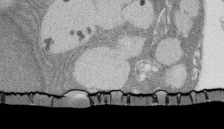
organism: Rat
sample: Salivary granule